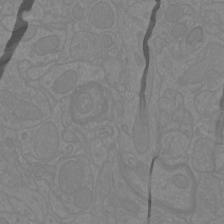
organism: Mouse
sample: Cortical neurons